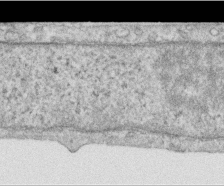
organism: Human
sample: Centriole in RPE cells